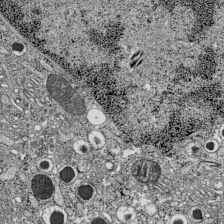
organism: C57BL Mouse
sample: Pancreatic islet